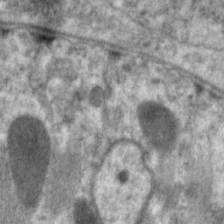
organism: C. elegans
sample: Pharynx